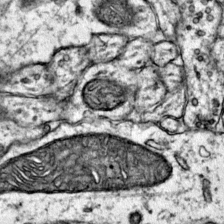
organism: Mouse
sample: Primary visual cortex